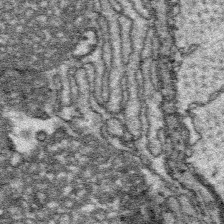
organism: Platynereis dumerilii